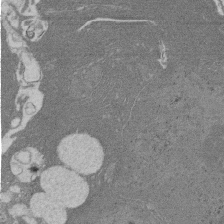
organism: Rat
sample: Salivary granule